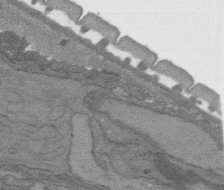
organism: C. elegans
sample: AFD neurons C. elegans